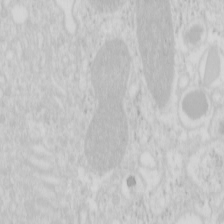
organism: Mouse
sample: Pancreas